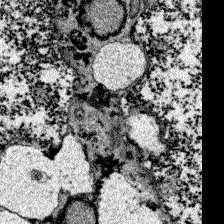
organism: Zebrafish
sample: Larval olfactory bulb